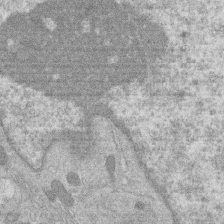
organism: Human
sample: Macrophage cells